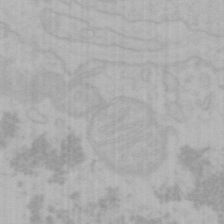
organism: Mouse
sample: Choroid plexus